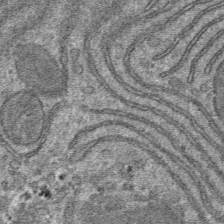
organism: Mouse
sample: Mouse hepatocytes